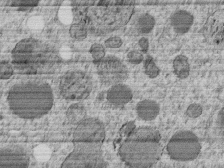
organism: C. elegans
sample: C. elegans embryo early stage